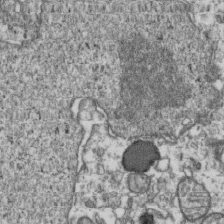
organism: Human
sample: Activated Jurkat CD4+ T cells